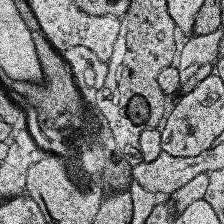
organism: Human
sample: Temporal Lobe